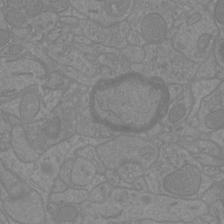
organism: Mouse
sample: Cortical neurons